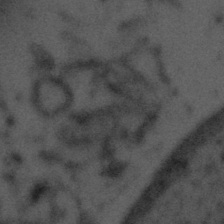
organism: Tuwongella immobilis